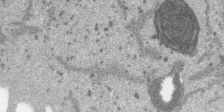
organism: Human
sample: Lung epithelial cells infected with SARS-CoV-2